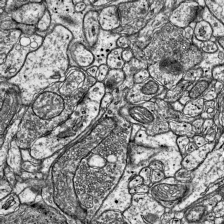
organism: Mouse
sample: Visual Cortex